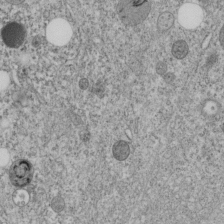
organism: C. elegans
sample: C. elegans embryo early stage